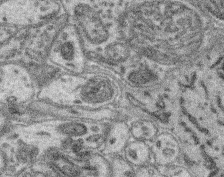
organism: Mouse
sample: Retina